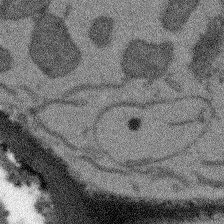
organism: Arabidopsis thaliana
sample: Root tip